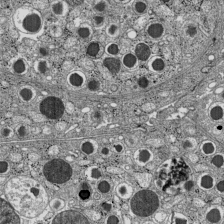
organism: C57BL Mouse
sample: Pancreatic islet